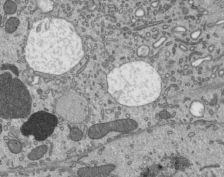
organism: Mouse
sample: Mouse epididymis efferent ductule cilia